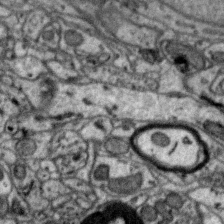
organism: Zebra finch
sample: Brain